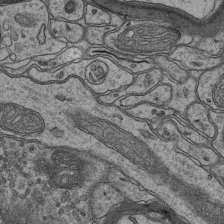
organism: Mouse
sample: CA1 Hippocampus